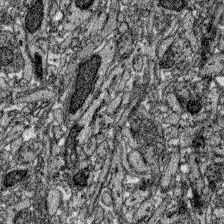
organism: Zebrafish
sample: Larval olfactory bulb